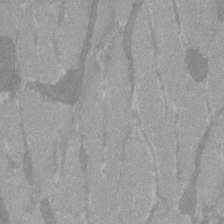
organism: C57BL Mouse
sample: Tibialis anterior muscle cell